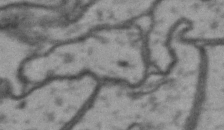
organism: Drosophila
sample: Brain